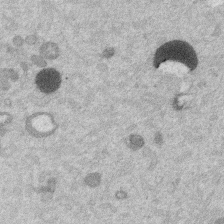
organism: Mouse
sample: Dividing mouse embryo 1 cell stage